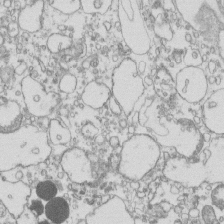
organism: Mouse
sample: Macrophages